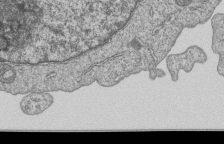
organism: Human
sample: MDA-MB-231 cells